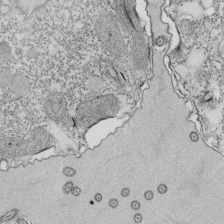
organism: Tetrahymena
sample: Cilia in tetrahymena